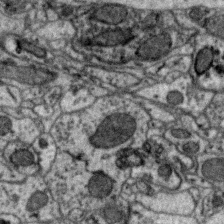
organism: Zebra finch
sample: Brain